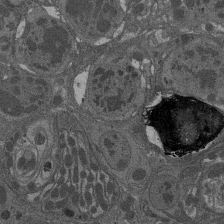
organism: Drosophila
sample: Antenna